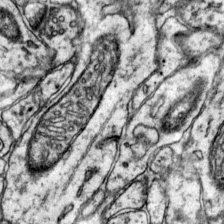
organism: Mouse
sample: Primary visual cortex